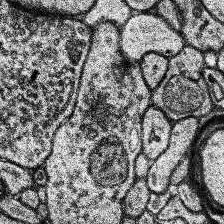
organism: Human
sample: Temporal Lobe